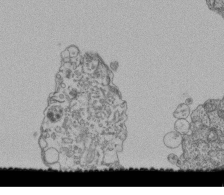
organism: Human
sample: Retinal organoid Rod and Cone cells